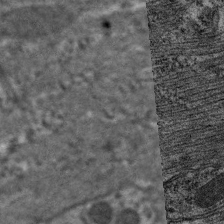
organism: C. elegans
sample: Pharynx